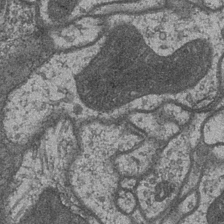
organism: Drosophila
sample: Optic medulla